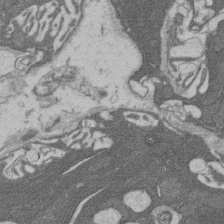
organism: Rat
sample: Salivary granule